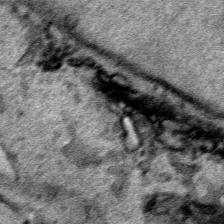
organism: Human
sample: Mitochondria in HCT116 cells